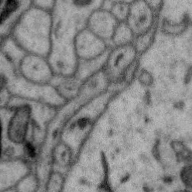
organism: Zebra finch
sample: Brain